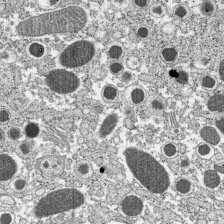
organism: C57BL Mouse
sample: Pancreatic islet